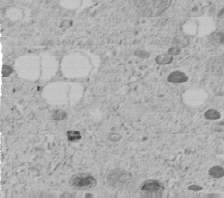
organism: C. elegans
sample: C. elegans embryo early stage